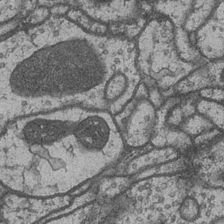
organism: Drosophila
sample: Optic medulla